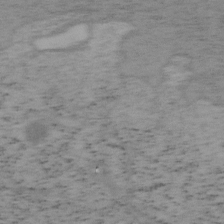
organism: Mouse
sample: OT-I killer T cells with ID8 ovarian cancer cells